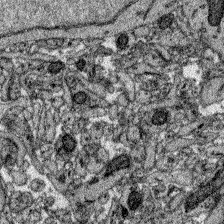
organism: Zebrafish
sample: Larval olfactory bulb